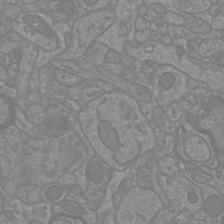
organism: Mouse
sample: Cortical neurons